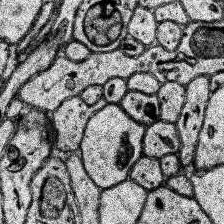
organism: Human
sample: Temporal Lobe